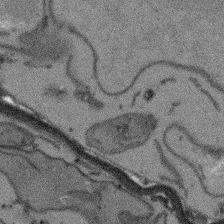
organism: Arabidopsis thaliana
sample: Root tip